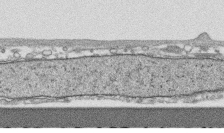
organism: Human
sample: CRL-1474